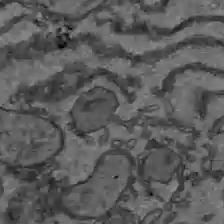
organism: C57BL Mouse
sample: Liver